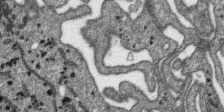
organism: Human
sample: Lung epithelial cells infected with SARS-CoV-2